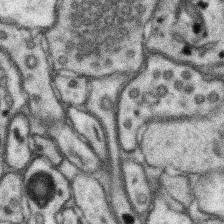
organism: Mouse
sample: Somatosensory cortex neuropil